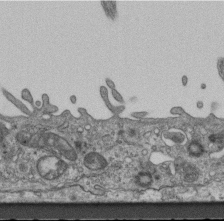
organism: Mouse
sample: Centriole in ependymal cells